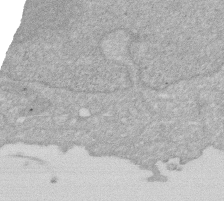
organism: Human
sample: HIV infected U937 cells